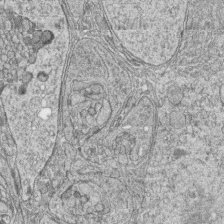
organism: Zebrafish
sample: synaptic ribbons in rod cells and cone cells